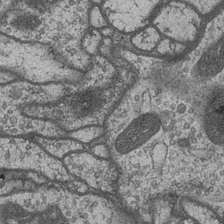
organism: Drosophila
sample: Optic medulla